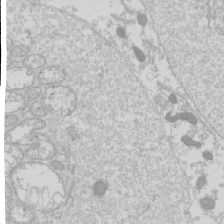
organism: Drosophila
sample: Cell division; meiosis; drosophila spermatocytes